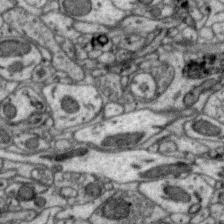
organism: Zebra finch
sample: Brain